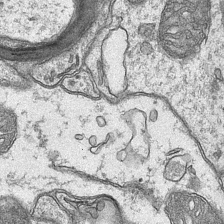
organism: Mouse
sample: CA1 Hippocampus